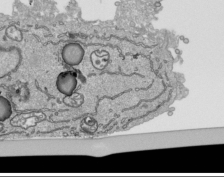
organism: Human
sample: Mitochondria in HCT116 cells